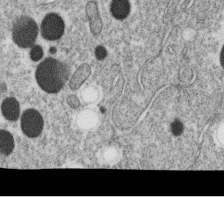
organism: C. elegans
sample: C. elegans oocyte; sperm cells